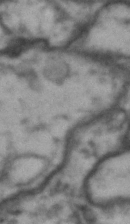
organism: Drosophila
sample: Brain